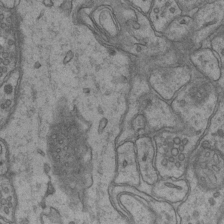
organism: Mouse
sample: CA1 Hippocampus